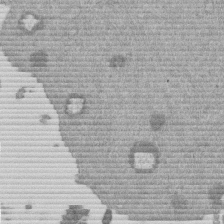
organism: Mouse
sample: Dividing mouse embryo 1 cell stage